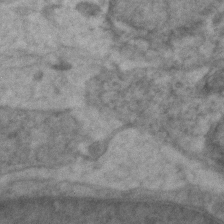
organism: Zebrafish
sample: Zebrafish embryo